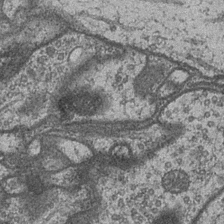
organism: Drosophila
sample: Optic medulla